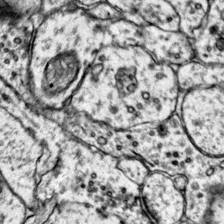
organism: Mouse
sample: Primary visual cortex